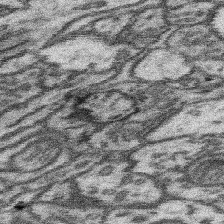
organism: Mouse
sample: Somatosensory cortex neuropil